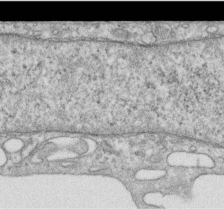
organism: Human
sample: Centriole in RPE cells